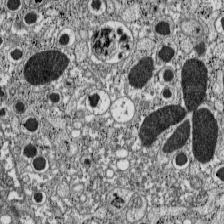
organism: C57BL Mouse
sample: Pancreatic islet